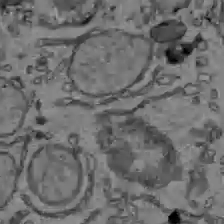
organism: C57BL Mouse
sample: Liver